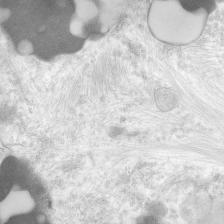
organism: Human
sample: Neocortex